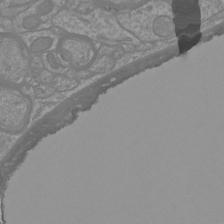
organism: Mouse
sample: Cortical neurons